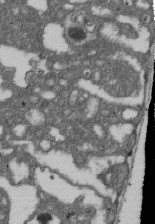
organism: Drosophila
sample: Nephrocyte